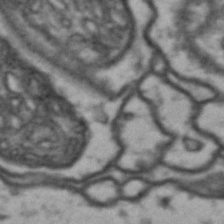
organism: Drosophila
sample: Brain